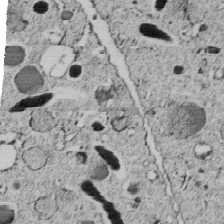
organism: C. elegans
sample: C. elegans embryo early stage